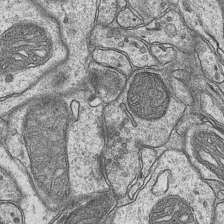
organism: Mouse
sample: CA1 Hippocampus